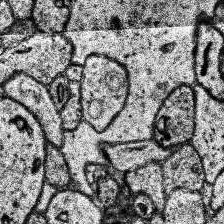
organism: Human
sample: Temporal Lobe